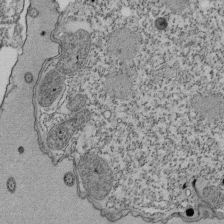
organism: Tetrahymena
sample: Cilia in tetrahymena